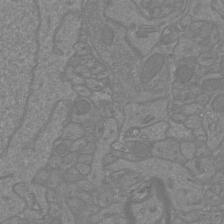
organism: Mouse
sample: Cortical neurons